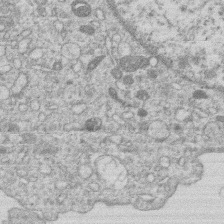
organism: Human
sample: Macrophage cells